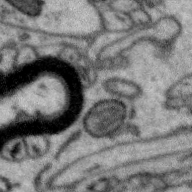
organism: Zebra finch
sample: Brain